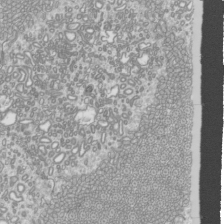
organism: Mouse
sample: Cilia; mouse epididymis